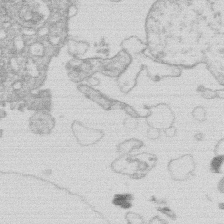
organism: Human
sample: Macrophage cells